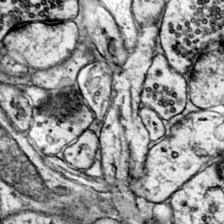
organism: Mouse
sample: Primary visual cortex